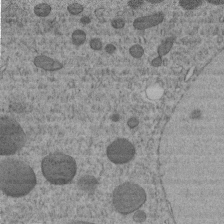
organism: C. elegans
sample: C. elegans embryo early stage